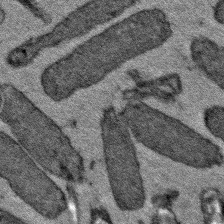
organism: E. coli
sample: E. Coli Bacteria